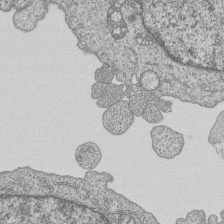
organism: Human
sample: MDA-MB-231 cells